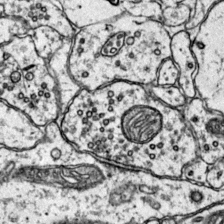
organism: Mouse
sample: Primary visual cortex